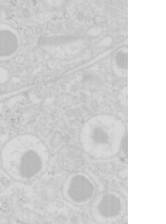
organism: Mouse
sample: Pancreas